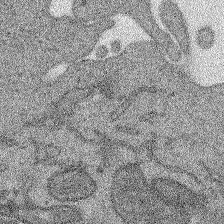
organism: Human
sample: HeLa cells